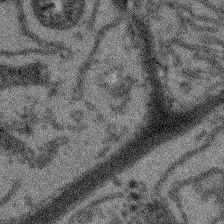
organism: Arabidopsis thaliana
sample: Root tip